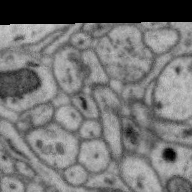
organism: Zebra finch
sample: Brain